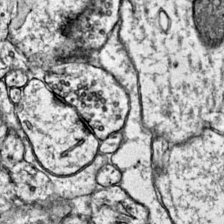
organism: Mouse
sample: Primary visual cortex